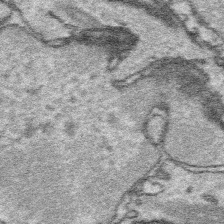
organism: Platynereis dumerilii